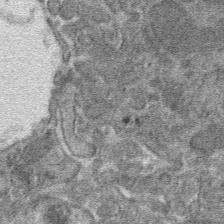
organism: Mouse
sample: Mouse hepatocytes